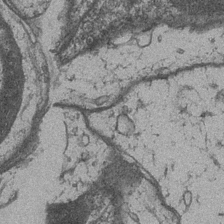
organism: Drosophila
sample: Optic medulla